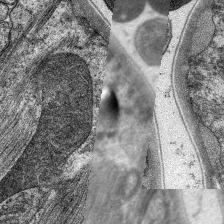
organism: C. elegans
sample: Pharynx